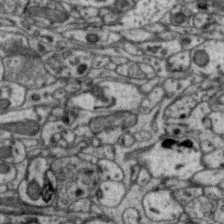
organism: Zebra finch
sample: Brain